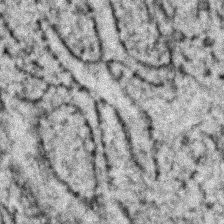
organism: Zebrafish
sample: Zebrafish embryo